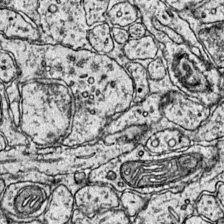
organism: Mouse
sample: Primary visual cortex